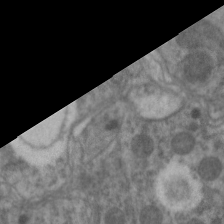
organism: C. elegans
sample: Pharynx